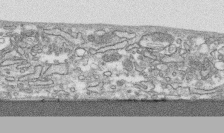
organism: Human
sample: CRL-1474